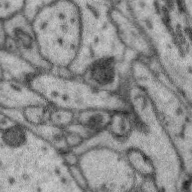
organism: Zebra finch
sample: Brain